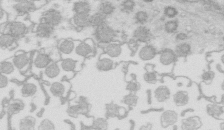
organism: Mouse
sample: Multiciliated cells